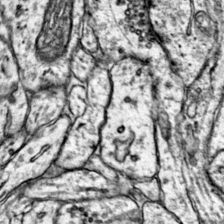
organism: Mouse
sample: Primary visual cortex